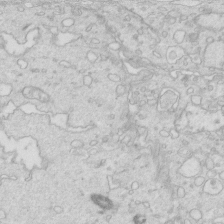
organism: Mouse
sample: Multiciliated cells